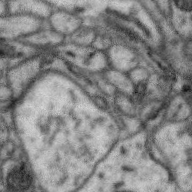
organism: Zebra finch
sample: Brain